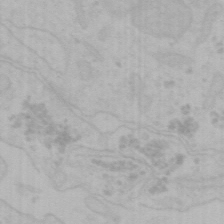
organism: Mouse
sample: Choroid plexus